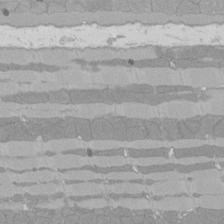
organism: Rat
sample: Left ventricle